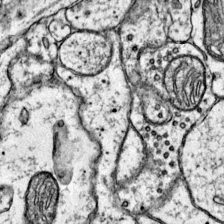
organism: Mouse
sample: Primary visual cortex